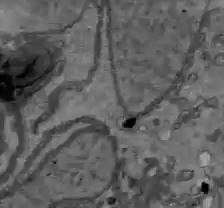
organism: C57BL Mouse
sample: Liver